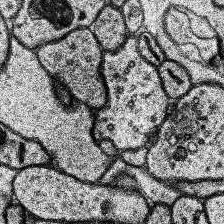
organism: Human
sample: Temporal Lobe